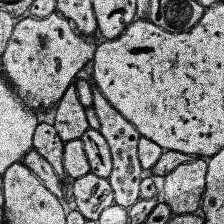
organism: Human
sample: Temporal Lobe